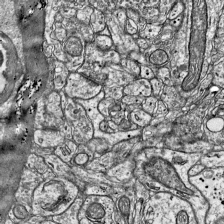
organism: Mouse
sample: Visual Cortex